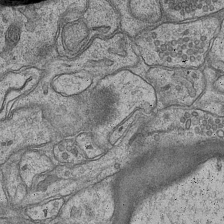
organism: Mouse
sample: CA1 Hippocampus